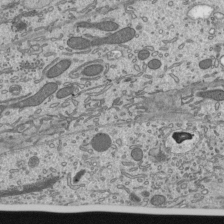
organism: Mouse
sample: Mouse epididymis efferent ductule cilia